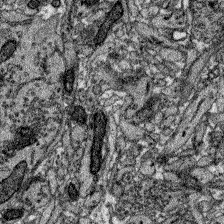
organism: Zebrafish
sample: Larval olfactory bulb